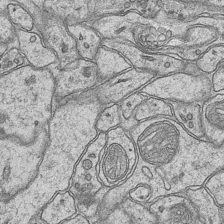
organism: Mouse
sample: CA1 Hippocampus